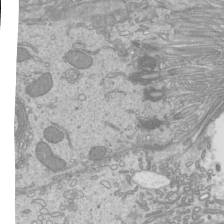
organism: Mouse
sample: Cilia; mouse epididymis